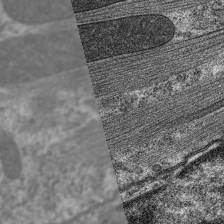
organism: C. elegans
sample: Pharynx